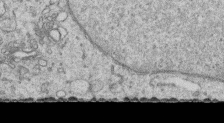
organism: Human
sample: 1205lu cells